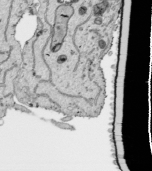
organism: Human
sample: Mitochondria in HCT116 cells